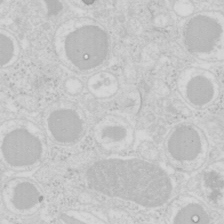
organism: Mouse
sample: Pancreas